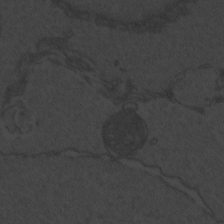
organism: Zebrafish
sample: Macrophage infected with Toxoplasma gondii